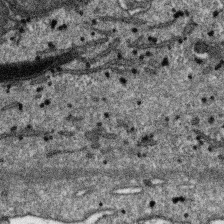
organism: Human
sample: Lung epithelial cells infected with SARS-CoV-2